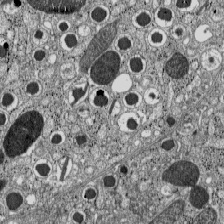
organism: C57BL Mouse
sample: Pancreatic islet